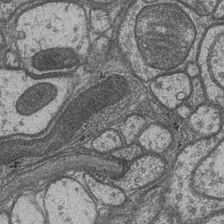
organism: Drosophila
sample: Optic medulla